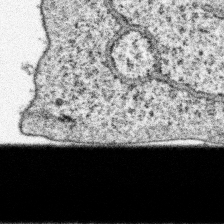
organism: Human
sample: HeLa cells